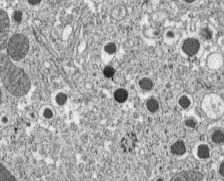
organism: C57BL Mouse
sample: Pancreatic islet